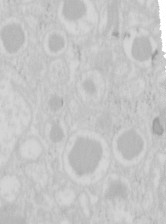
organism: Mouse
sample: Pancreas